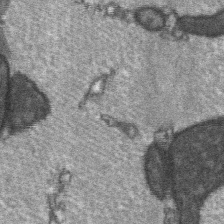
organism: C57BL Mouse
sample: Soleus